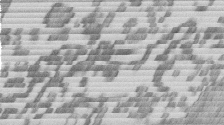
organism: Mouse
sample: Dividing mouse embryo 1 cell stage